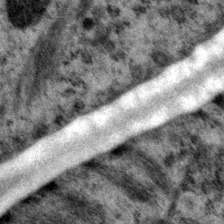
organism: P. pacificus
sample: Pharynx